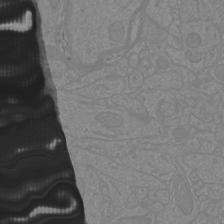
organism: Mouse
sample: Cortical neurons